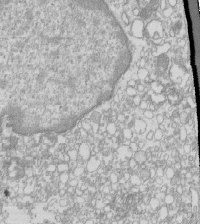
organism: Mouse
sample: Macrophages